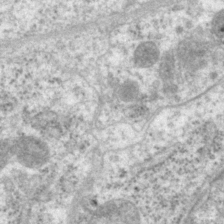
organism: P. pacificus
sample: Pharynx